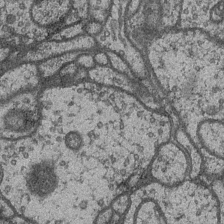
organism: Drosophila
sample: Optic medulla